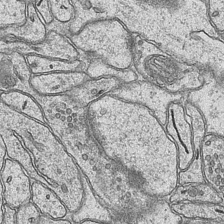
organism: Mouse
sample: CA1 Hippocampus